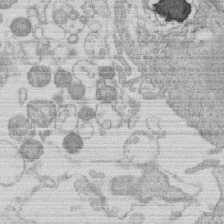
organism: Human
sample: Macrophage cells